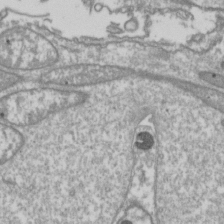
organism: Drosophila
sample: Cell division; meiosis; drosophila spermatocytes